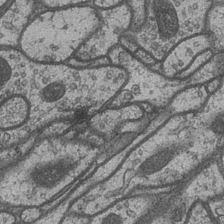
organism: Drosophila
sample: Optic medulla